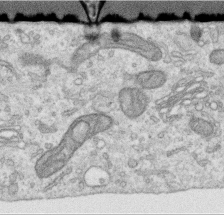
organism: Human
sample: Centriole in RPE cells